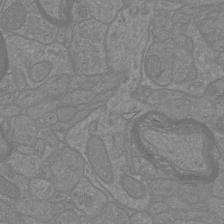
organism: Mouse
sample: Cortical neurons